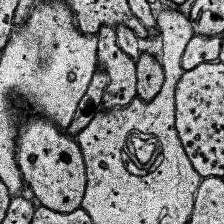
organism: Human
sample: Temporal Lobe